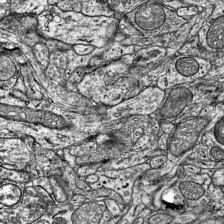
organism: Mouse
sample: Visual Cortex